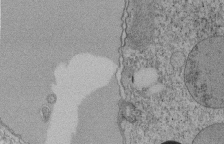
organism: Tetrahymena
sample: Cilia in tetrahymena